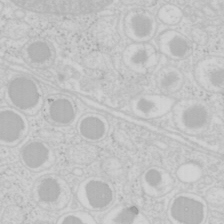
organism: Mouse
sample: Pancreas